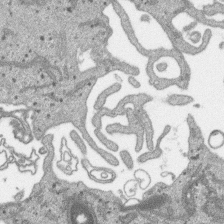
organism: Human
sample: Lung epithelial cells infected with SARS-CoV-2